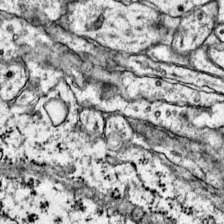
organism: Mouse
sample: Primary visual cortex